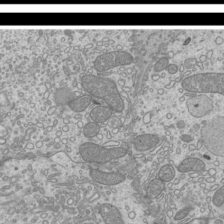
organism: Mouse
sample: Cilia; mouse epididymis